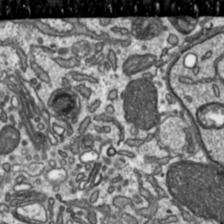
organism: Toxoplasma gondii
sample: Parasites in a vacuole inside a host cell